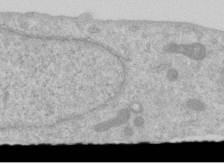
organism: Human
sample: Centriole in RPE cells